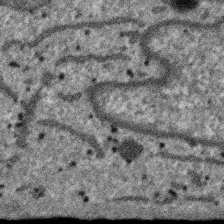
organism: Human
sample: Lung epithelial cells infected with SARS-CoV-2